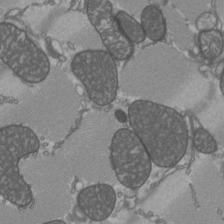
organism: C57BL Mouse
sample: Heart